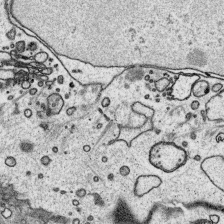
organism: Platynereis dumerilii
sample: Parapodia